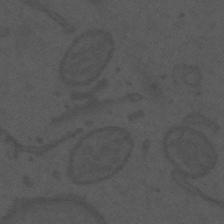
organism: Mouse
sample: Suprachiasmatic nucleus